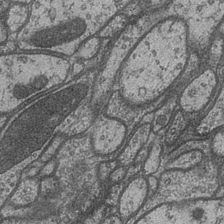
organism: Drosophila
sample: Optic medulla